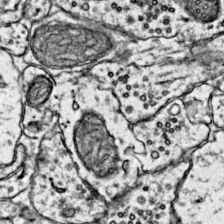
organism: Mouse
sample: Primary visual cortex